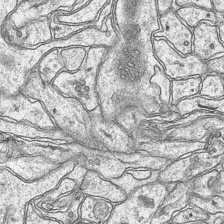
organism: Mouse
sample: CA1 Hippocampus